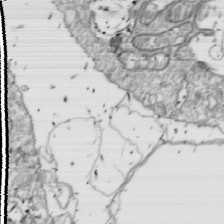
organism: Drosophila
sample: Cell division; meiosis; drosophila spermatocytes